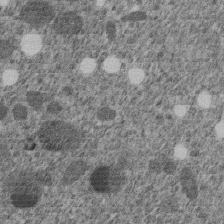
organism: C. elegans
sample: C. elegans embryo early stage